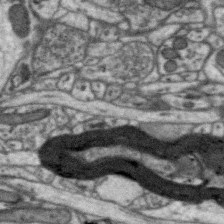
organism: Zebra finch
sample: Brain